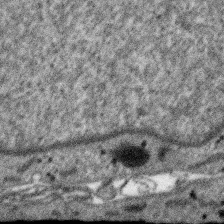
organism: Human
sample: Lung epithelial cells infected with SARS-CoV-2